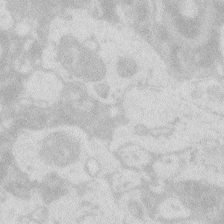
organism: Zebrafish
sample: Macrophage